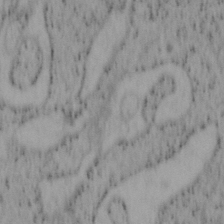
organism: Mouse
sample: OT-I killer T cells with ID8 ovarian cancer cells